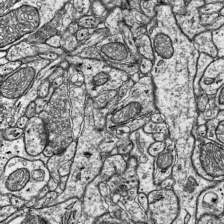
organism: Mouse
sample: Visual Cortex